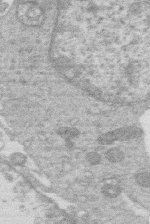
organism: Human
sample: Macrophage cells